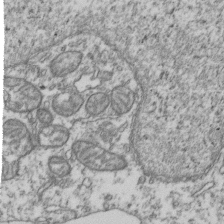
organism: Human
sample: Activated Jurkat CD4+ T cells